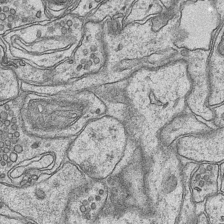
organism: Mouse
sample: CA1 Hippocampus